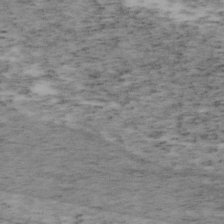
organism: Mouse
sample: OT-I killer T cells with ID8 ovarian cancer cells